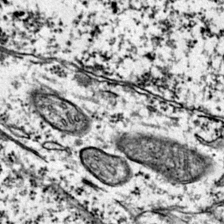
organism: Mouse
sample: Primary visual cortex